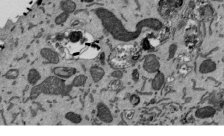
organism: Mouse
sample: ED-1 cell nuclei; centrioles